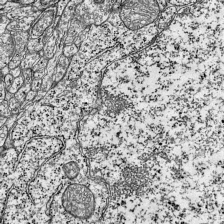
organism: Mouse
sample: Visual Cortex